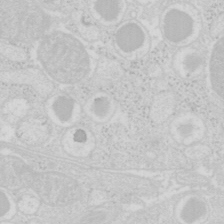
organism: Mouse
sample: Pancreas